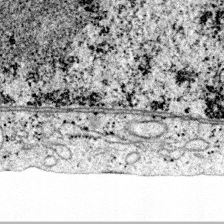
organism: Human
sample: HeLa cells